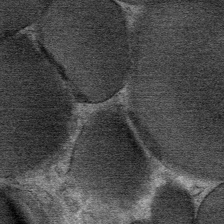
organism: Mouse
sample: Mouse Salivary gland